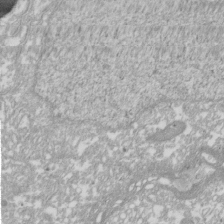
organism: Xenopus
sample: Cilia; centrioles in frog embryo cells